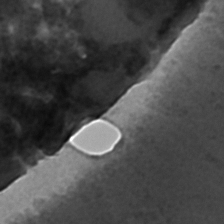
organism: C. elegans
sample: C. elegans embryo